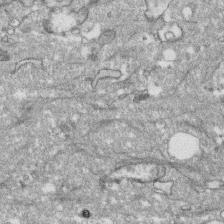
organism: Human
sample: CRL-1474